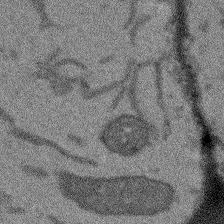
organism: Arabidopsis thaliana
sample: Root tip